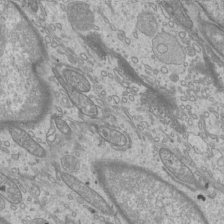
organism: Mouse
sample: Cilia; mouse epididymis